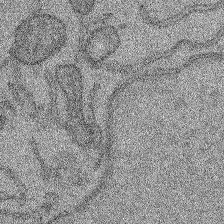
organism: Human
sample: HeLa cells